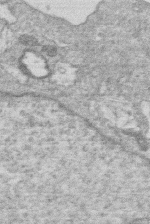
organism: Human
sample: Macrophage cells